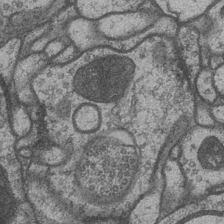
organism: Drosophila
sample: Optic medulla